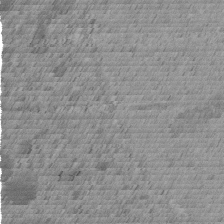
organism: C. elegans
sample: C. elegans embryo early stage